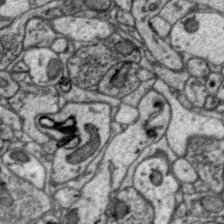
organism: Zebra finch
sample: Brain